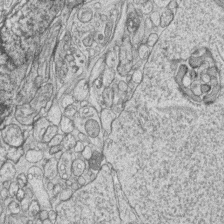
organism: Zebrafish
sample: synaptic ribbons in rod cells and cone cells